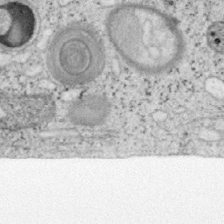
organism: Mouse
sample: OT-I killer T cells with ID8 ovarian cancer cells